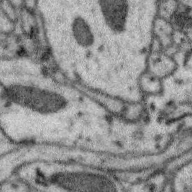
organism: Zebra finch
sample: Brain